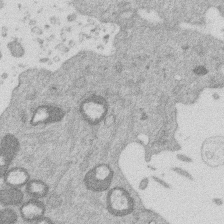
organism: Mouse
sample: Dividing mouse embryo 1 cell stage